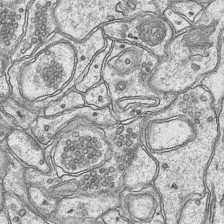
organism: Mouse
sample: CA1 Hippocampus